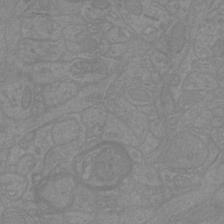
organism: Mouse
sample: Cortical neurons